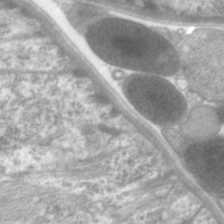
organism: C. elegans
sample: Pharynx